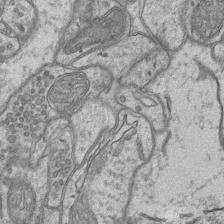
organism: Mouse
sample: CA1 Hippocampus